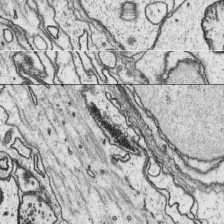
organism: Platynereis dumerilii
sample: Parapodia